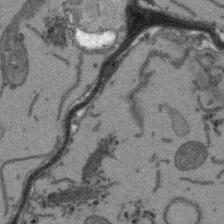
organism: Arabidopsis thaliana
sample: Root tip